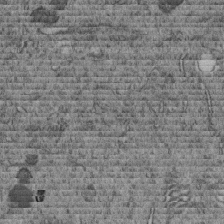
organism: C. elegans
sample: C. elegans embryo early stage